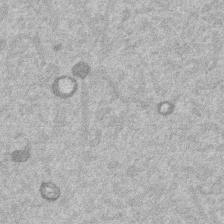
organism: Mouse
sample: Dividing mouse embryo 1 cell stage